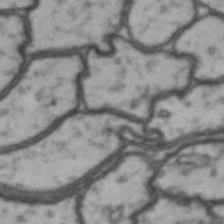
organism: Drosophila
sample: Brain